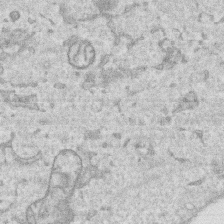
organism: Human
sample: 1205lu cells